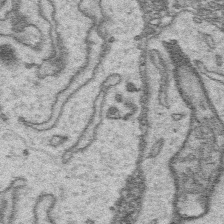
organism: Platynereis dumerilii